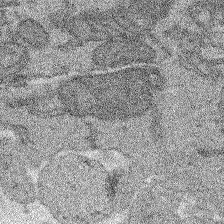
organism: Human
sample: HeLa cells